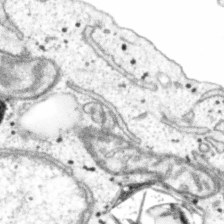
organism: Human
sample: HeLa cells